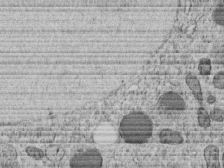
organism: C. elegans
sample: C. elegans embryo early stage